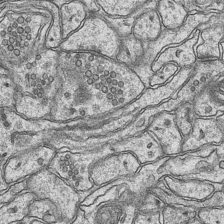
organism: Mouse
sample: CA1 Hippocampus